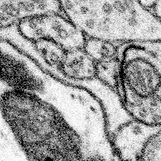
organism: Mouse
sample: Somatosensory cortex neuropil